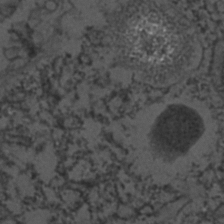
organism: C. elegans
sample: C. elegans embryo